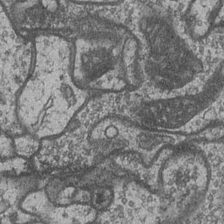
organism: Drosophila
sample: Optic medulla